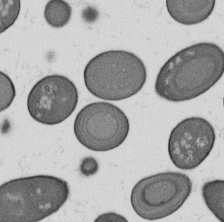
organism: B. subtilis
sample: Bacterial spore